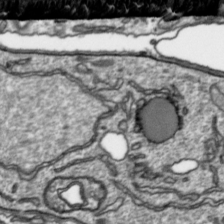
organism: Toxoplasma gondii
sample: Parasites in a vacuole inside a host cell